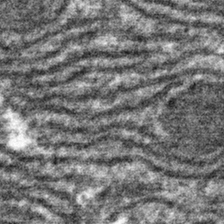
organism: Mouse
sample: Mouse hepatocytes